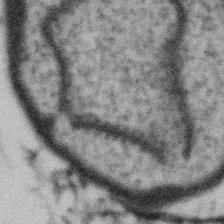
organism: Gemmata obscuriglobus